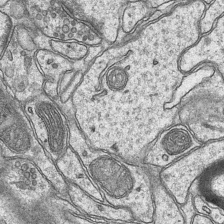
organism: Mouse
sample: CA1 Hippocampus